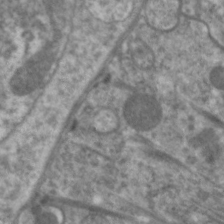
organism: C. elegans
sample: Pharynx